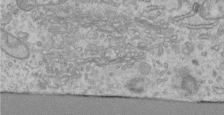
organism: Human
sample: Centriole in RPE cells